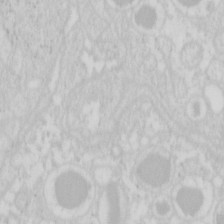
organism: Mouse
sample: Pancreas